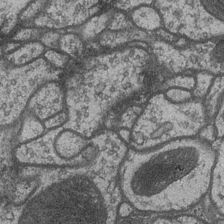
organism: Drosophila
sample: Optic medulla